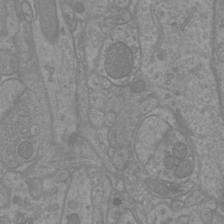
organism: Mouse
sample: Cortical neurons